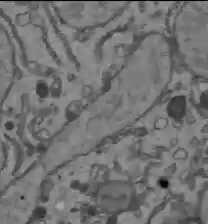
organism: C57BL Mouse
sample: Liver